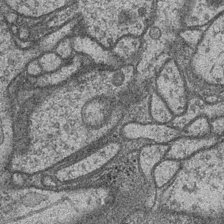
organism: Drosophila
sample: Optic medulla